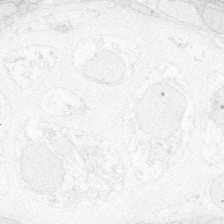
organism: Zebrafish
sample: Whole-Brain